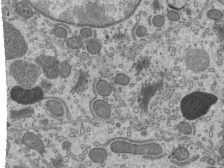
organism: Mouse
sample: Mouse epididymis efferent ductule cilia